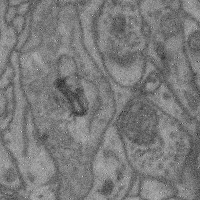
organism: Mouse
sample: Cerebral cortex